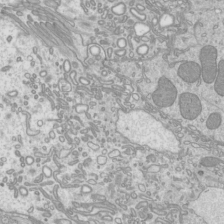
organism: Mouse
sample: Cilia; mouse epididymis